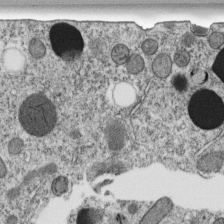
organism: C. elegans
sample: C. elegans embryo early stage